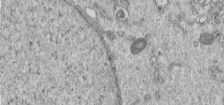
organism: Human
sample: Centriole in RPE cells